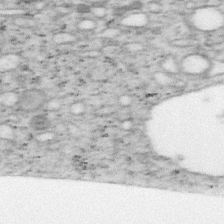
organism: Mouse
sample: OT-I killer T cells with ID8 ovarian cancer cells